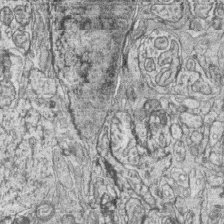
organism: Zebrafish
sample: synaptic ribbons in rod cells and cone cells